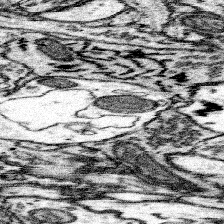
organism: Mouse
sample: Somatosensory cortex neuropil